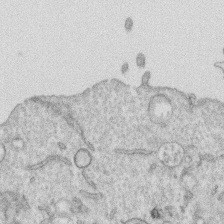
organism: Human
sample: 1205lu cells